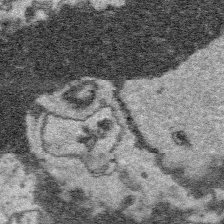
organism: Platynereis dumerilii